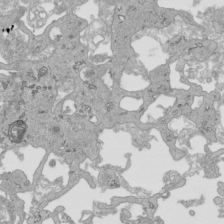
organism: Human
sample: Mitochondria in HCT116 cells